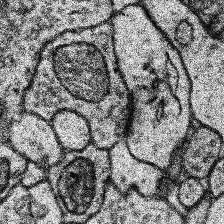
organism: Human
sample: Temporal Lobe